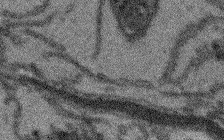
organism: Arabidopsis thaliana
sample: Root tip